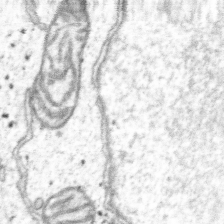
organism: Human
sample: HeLa cells